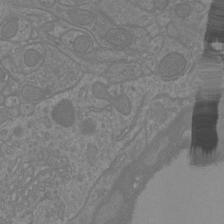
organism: Mouse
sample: Cortical neurons